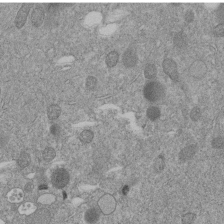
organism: C. elegans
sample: C. elegans embryo early stage